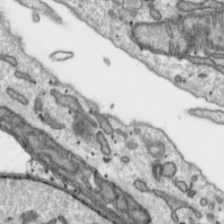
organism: Toxoplasma gondii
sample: Parasites in a vacuole inside a host cell